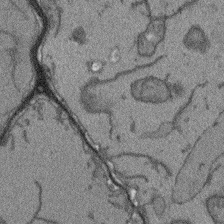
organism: Arabidopsis thaliana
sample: Root tip